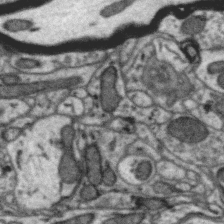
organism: Zebra finch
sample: Brain